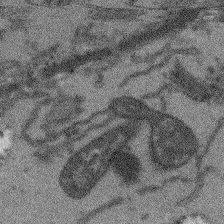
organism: Arabidopsis thaliana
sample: Root tip